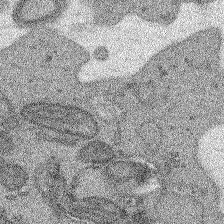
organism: Human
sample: HeLa cells